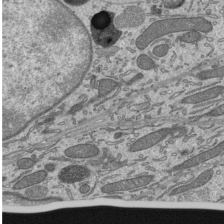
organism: Mouse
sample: Mouse epididymis efferent ductule cilia